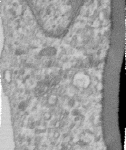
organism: Human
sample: Centriole in RPE cells